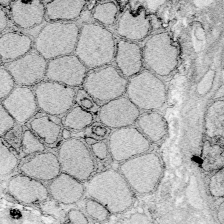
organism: Zebrafish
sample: Whole-Brain